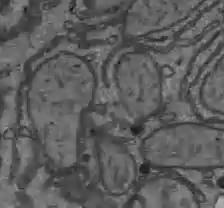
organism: C57BL Mouse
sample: Liver